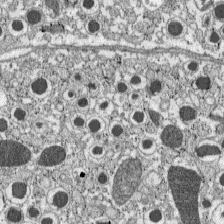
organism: C57BL Mouse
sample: Pancreatic islet